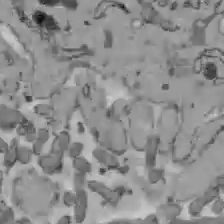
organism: C57BL Mouse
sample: Liver